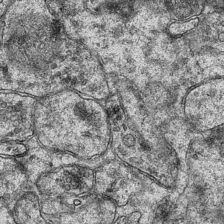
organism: Mouse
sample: CA1 Hippocampus